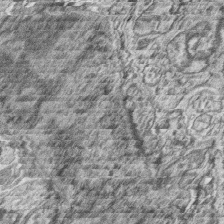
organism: Zebrafish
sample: synaptic ribbons in rod cells and cone cells